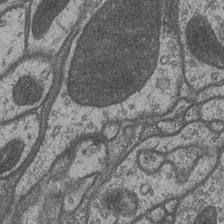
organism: Drosophila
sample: Optic medulla